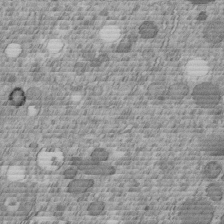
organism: C. elegans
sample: C. elegans embryo early stage